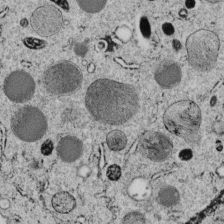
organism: C. elegans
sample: C. elegans embryo early stage